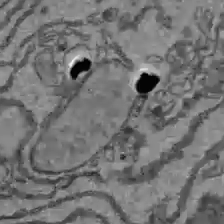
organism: C57BL Mouse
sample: Liver